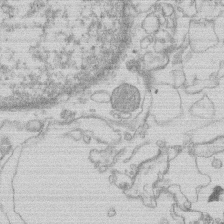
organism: Human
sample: Macrophage cells